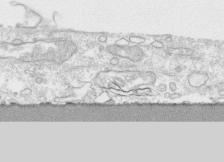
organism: Human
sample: CRL-1474